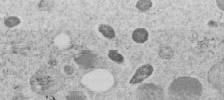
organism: C. elegans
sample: C. elegans embryo early stage